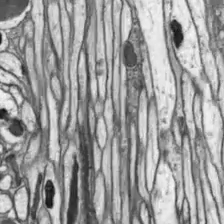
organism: Drosophila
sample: Optic lobe